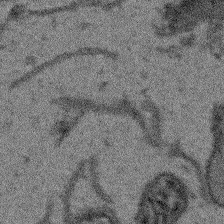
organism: Arabidopsis thaliana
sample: Root tip